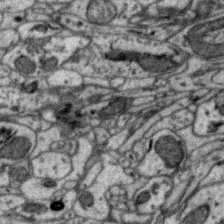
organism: Zebra finch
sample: Brain